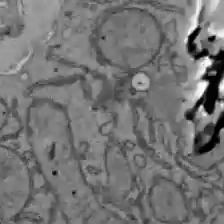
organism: C57BL Mouse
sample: Liver